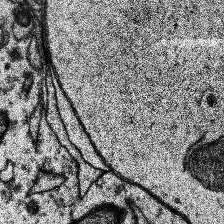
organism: Human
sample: Temporal Lobe